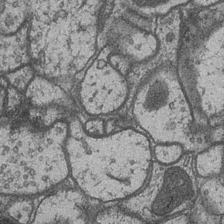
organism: Drosophila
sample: Optic medulla